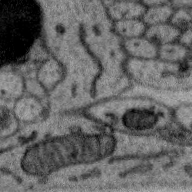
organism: Zebra finch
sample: Brain